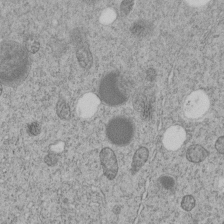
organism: C. elegans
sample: C. elegans embryo early stage